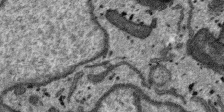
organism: Human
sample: Lung epithelial cells, uninfected (mock) control